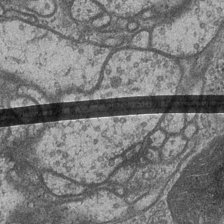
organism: Drosophila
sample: Optic medulla